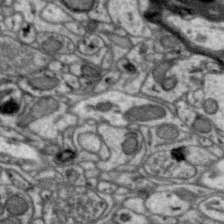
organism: Zebra finch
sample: Brain